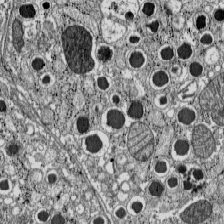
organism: C57BL Mouse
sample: Pancreatic islet